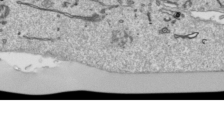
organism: Human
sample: Mitochondria in HCT116 cells